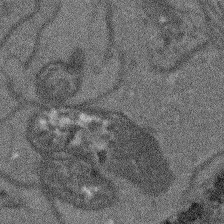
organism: Arabidopsis thaliana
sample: Root tip